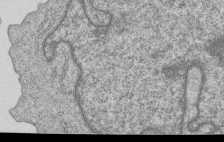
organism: Human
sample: MDA-MB-231 cells